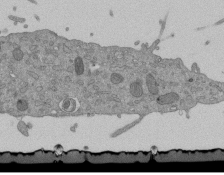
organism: Mouse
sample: ED-1 cell nuclei; centrioles